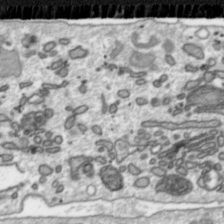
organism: Toxoplasma gondii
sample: Parasites in a vacuole inside a host cell